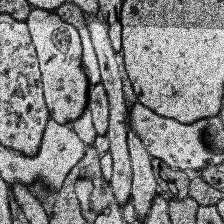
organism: Human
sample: Temporal Lobe